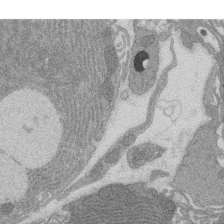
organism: Rat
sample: Salivary granule